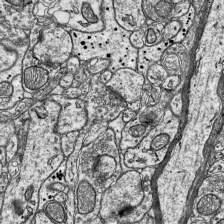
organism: Mouse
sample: Visual Cortex